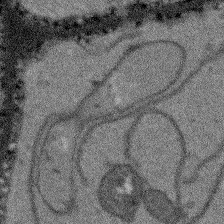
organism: Arabidopsis thaliana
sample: Root tip